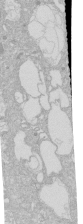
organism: Human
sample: Caco-2 cells